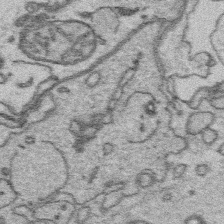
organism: Platynereis dumerilii